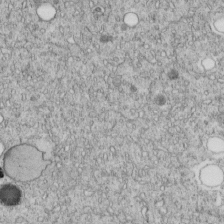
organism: C. elegans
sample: C. elegans embryo early stage